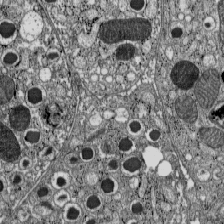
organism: C57BL Mouse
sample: Pancreatic islet